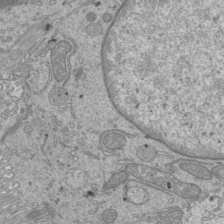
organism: Mouse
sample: Cilia; mouse epididymis